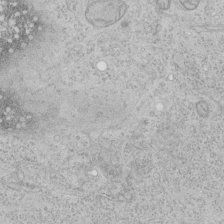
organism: Human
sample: Mitochondria in HCT116 cells